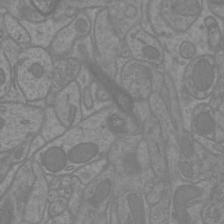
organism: Mouse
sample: Cortical neurons